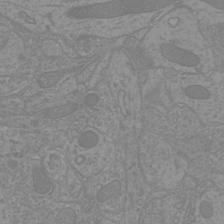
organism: Mouse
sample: Cortical neurons